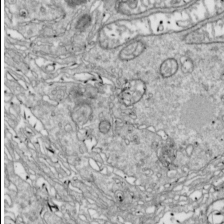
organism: Drosophila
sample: Cell division; meiosis; drosophila spermatocytes